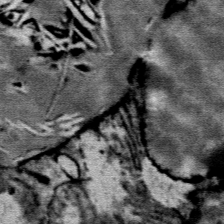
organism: Mouse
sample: Mouse Salivary gland